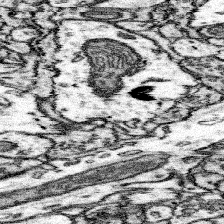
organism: Mouse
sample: Somatosensory cortex neuropil